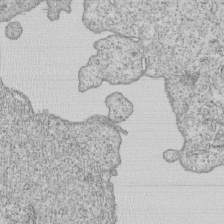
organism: Human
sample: MDA-MB-231 cells